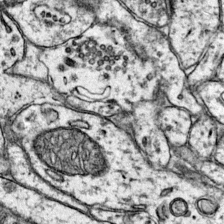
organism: Mouse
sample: Primary visual cortex